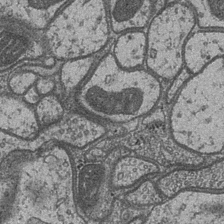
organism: Drosophila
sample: Optic medulla